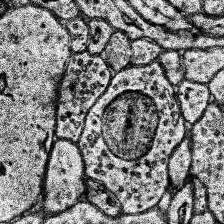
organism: Human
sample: Temporal Lobe